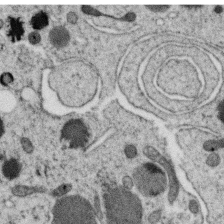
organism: C. elegans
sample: C. elegans oocyte; sperm cells